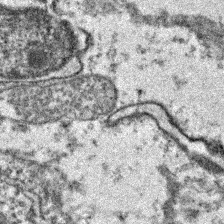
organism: Zebrafish